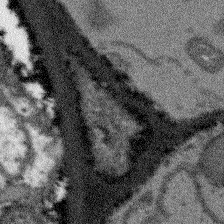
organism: Arabidopsis thaliana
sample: Root tip